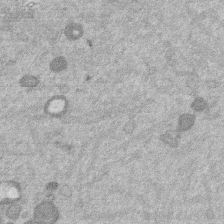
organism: Mouse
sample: Dividing mouse embryo 1 cell stage